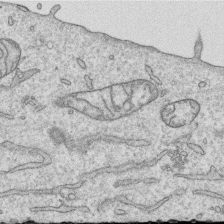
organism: Human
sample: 1205lu cells